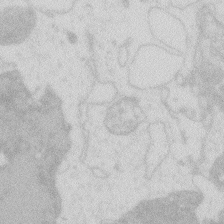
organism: Zebrafish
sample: Macrophage